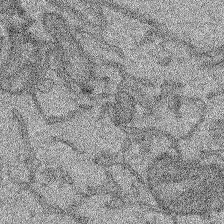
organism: Human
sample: HeLa cells